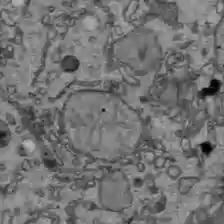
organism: C57BL Mouse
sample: Liver